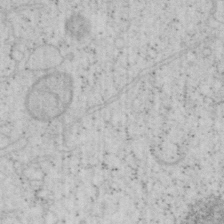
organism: Human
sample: HeLa cells